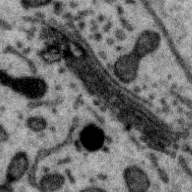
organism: Zebra finch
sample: Brain